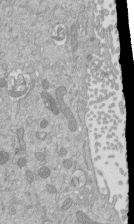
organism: Mouse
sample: ED-1 cell nuclei; centrioles